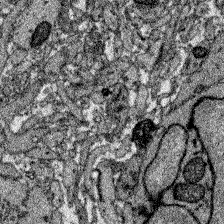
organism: Zebrafish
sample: Larval olfactory bulb